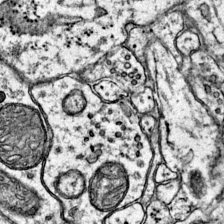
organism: Mouse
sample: Primary visual cortex